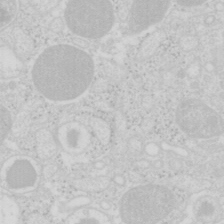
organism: Mouse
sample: Pancreas